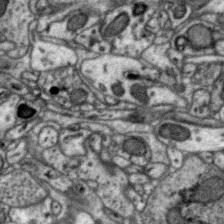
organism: Zebra finch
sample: Brain